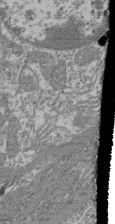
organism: Mouse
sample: Glomerulus